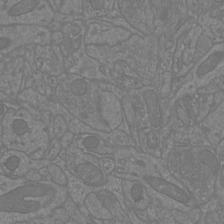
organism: Mouse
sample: Cortical neurons